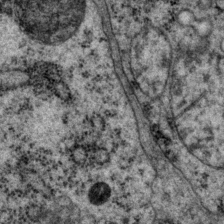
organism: P. pacificus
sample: Pharynx